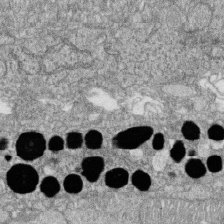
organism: Zebrafish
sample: Cilia; retinal pigment epithelium